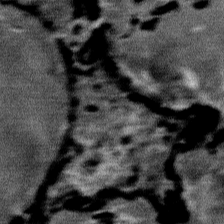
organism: Mouse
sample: Mouse Salivary gland